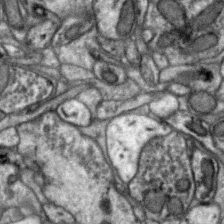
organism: Zebra finch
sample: Brain